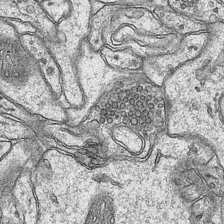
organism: Mouse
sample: CA1 Hippocampus